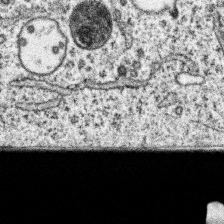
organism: Human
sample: HeLa cells